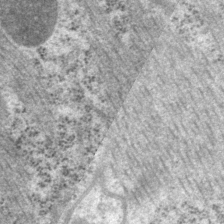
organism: P. pacificus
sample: Pharynx